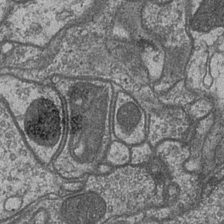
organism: Drosophila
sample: Optic medulla